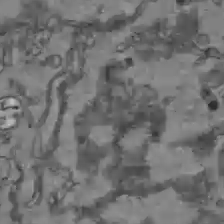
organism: C57BL Mouse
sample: Liver